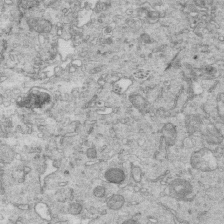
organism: Mouse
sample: Multiciliated cells